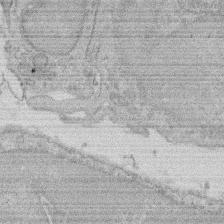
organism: Rat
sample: Salivary granule